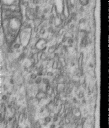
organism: Human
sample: Centriole in RPE cells